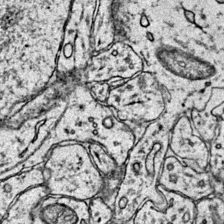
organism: Mouse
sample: Primary visual cortex